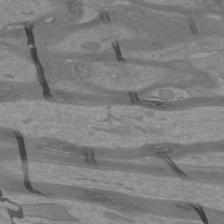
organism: Mouse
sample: Cortical neurons